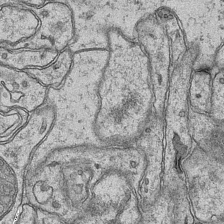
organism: Mouse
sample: CA1 Hippocampus